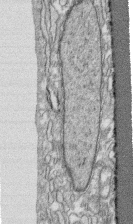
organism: Human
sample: CRL-1474